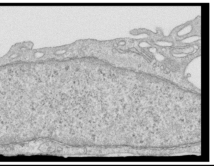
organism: Human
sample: Centriole in RPE cells